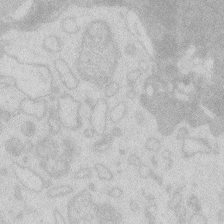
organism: Zebrafish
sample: Macrophage